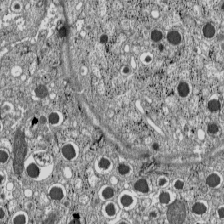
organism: C57BL Mouse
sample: Pancreatic islet